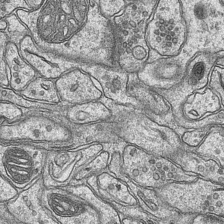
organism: Mouse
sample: CA1 Hippocampus